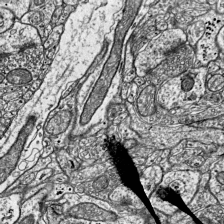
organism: Mouse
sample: Visual Cortex